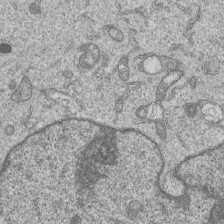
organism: Human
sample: MDA-MB-231 cells